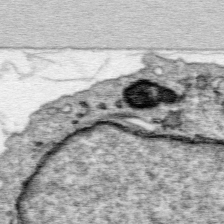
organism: Human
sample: HeLa cells